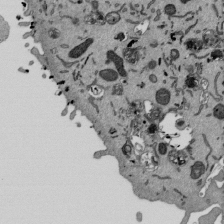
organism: Mouse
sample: ED-1 cell nuclei; centrioles